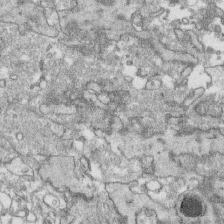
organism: Human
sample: CRL-1474